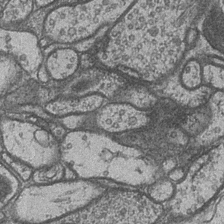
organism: Drosophila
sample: Optic medulla